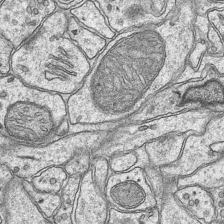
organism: Mouse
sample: CA1 Hippocampus